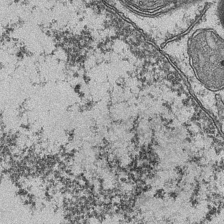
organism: Mouse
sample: CA1 Hippocampus